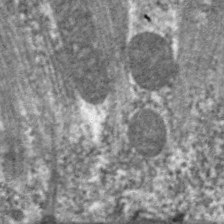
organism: C. elegans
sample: Pharynx